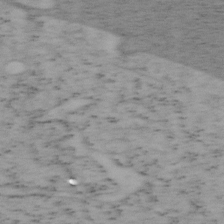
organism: Mouse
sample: OT-I killer T cells with ID8 ovarian cancer cells